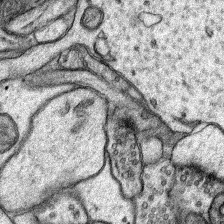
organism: Rat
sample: Hippocampus